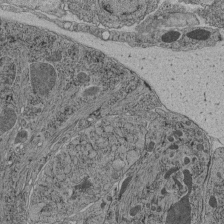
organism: C. elegans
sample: C. elegans pharynx